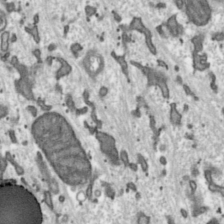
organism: Toxoplasma gondii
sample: Parasites in a vacuole inside a host cell